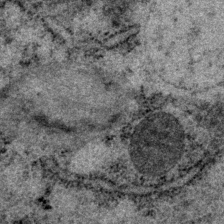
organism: P. pacificus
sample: Pharynx